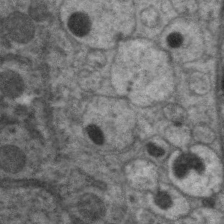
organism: C. elegans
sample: Pharynx